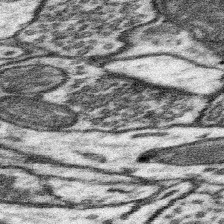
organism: Mouse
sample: Somatosensory cortex neuropil